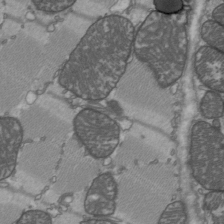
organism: C57BL Mouse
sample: Heart